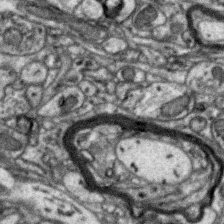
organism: Zebra finch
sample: Brain